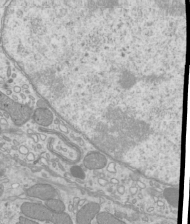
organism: Mouse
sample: Cilia; mouse epididymis